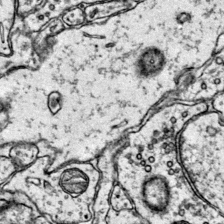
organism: Mouse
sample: Primary visual cortex